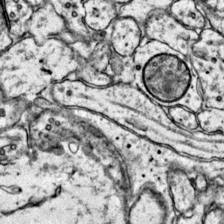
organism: Mouse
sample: Primary visual cortex